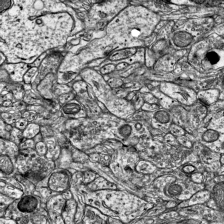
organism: Mouse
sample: Visual Cortex